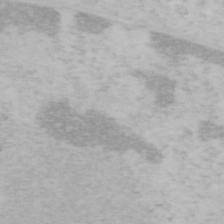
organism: Mouse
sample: OT-I killer T cells with ID8 ovarian cancer cells